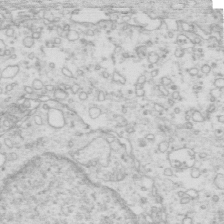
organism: Mouse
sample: Multiciliated cells